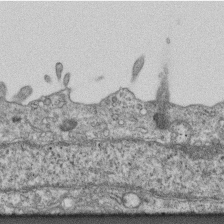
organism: Mouse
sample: Centriole in ependymal cells